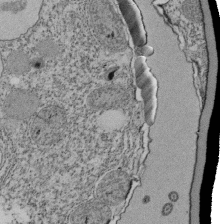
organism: Tetrahymena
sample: Cilia in tetrahymena